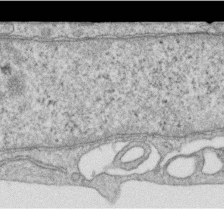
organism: Human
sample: Centriole in RPE cells